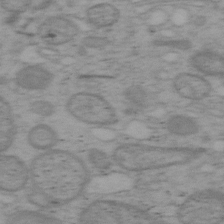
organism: Mouse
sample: OT-I killer T cells with ID8 ovarian cancer cells